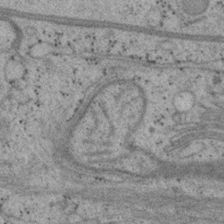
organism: Human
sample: HeLa cells